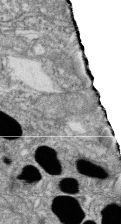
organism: Zebrafish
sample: Cilia; retinal pigment epithelium